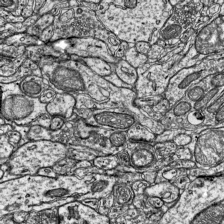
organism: Mouse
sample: Visual Cortex